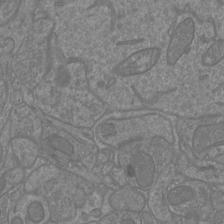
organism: Mouse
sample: Cortical neurons